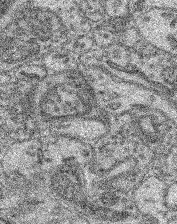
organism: Mouse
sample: Retina